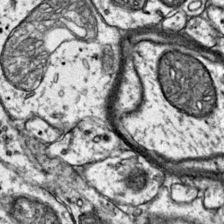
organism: Mouse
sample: Primary visual cortex